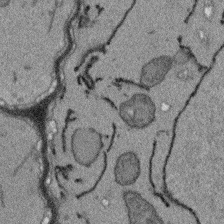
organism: Arabidopsis thaliana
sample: Root tip